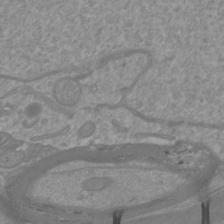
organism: Mouse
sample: Cortical neurons